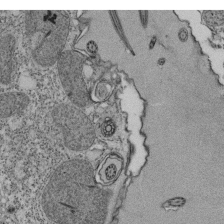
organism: Tetrahymena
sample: Cilia in tetrahymena